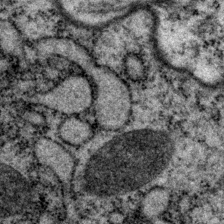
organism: P. pacificus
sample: Pharynx